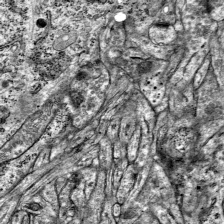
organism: Mouse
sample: Visual Cortex